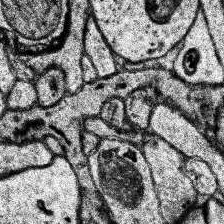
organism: Human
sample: Temporal Lobe